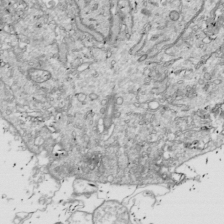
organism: Drosophila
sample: Cell division; meiosis; drosophila spermatocytes